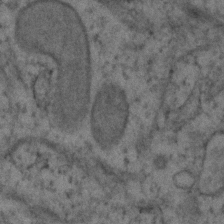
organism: Human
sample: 1205lu cells